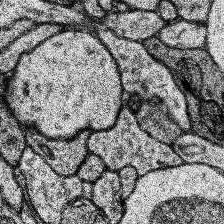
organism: Human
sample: Temporal Lobe